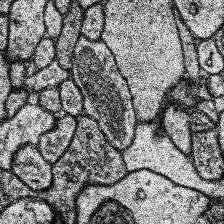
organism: Human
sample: Temporal Lobe